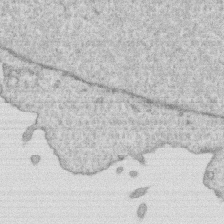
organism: Human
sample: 1205lu cells